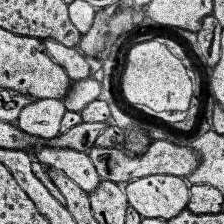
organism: Human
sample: Temporal Lobe